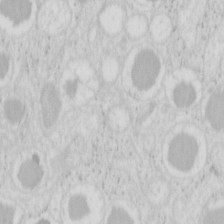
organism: Mouse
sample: Pancreas